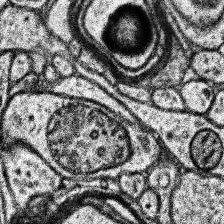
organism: Human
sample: Temporal Lobe